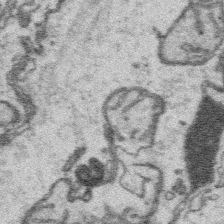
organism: Platynereis dumerilii